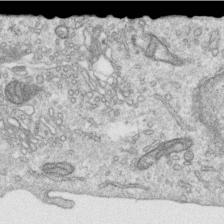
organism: Human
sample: Centriole in RPE cells